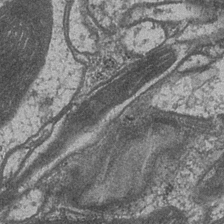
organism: Drosophila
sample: Optic medulla